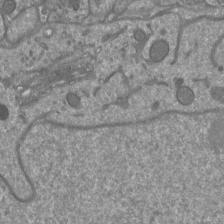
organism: Mouse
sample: Cortical neurons